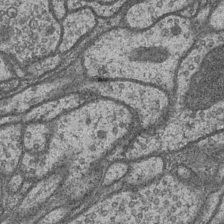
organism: Drosophila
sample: Optic medulla